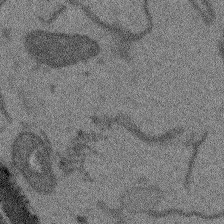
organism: Arabidopsis thaliana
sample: Root tip